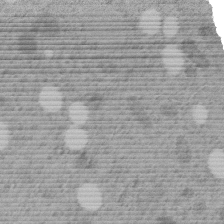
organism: C. elegans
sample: C. elegans embryo early stage